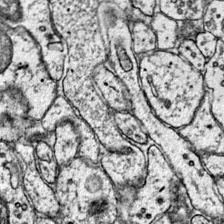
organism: Mouse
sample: Primary visual cortex